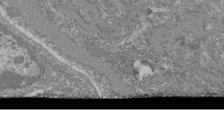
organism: Mouse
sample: Glomerulus